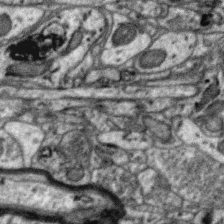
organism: Zebra finch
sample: Brain